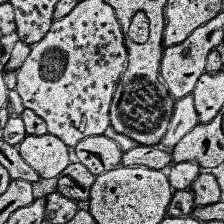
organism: Human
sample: Temporal Lobe